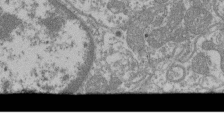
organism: Mouse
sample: Glomerulus